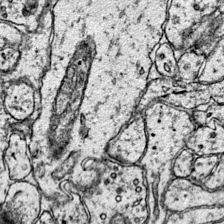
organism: Mouse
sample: Primary visual cortex